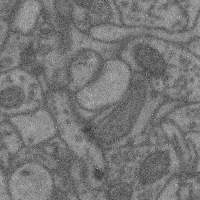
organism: Mouse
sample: Cerebral cortex